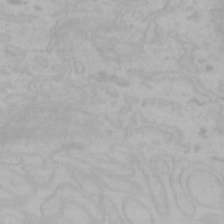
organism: Mouse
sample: Choroid plexus